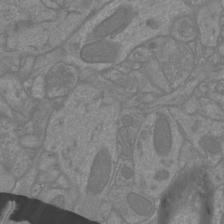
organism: Mouse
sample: Cortical neurons